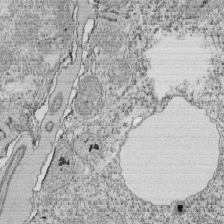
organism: Tetrahymena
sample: Cilia in tetrahymena